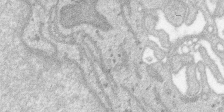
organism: Human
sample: Lung epithelial cells infected with SARS-CoV-2